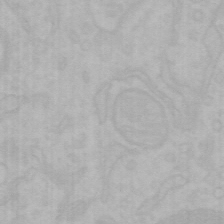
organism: Mouse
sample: Choroid plexus